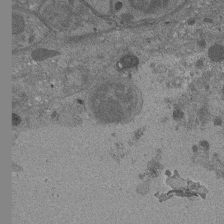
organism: Drosophila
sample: Antenna